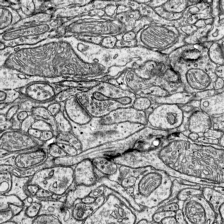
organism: Mouse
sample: Visual Cortex